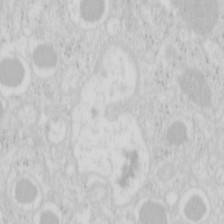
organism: Mouse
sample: Pancreas